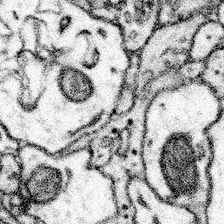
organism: Mouse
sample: Somatosensory cortex neuropil